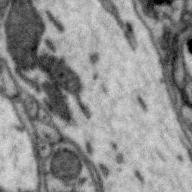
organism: Zebra finch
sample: Brain